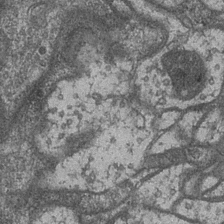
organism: Drosophila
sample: Optic medulla